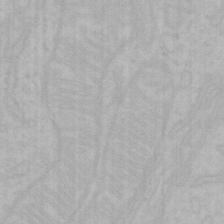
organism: Mouse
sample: Choroid plexus